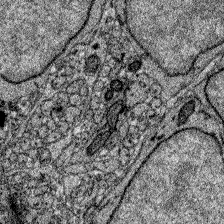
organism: Zebrafish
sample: Larval olfactory bulb